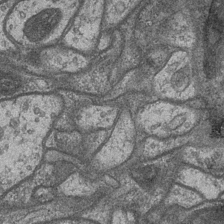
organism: Drosophila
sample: Optic medulla